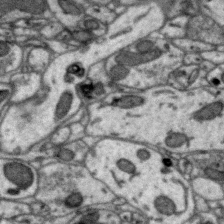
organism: Zebra finch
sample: Brain